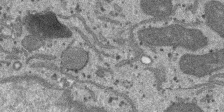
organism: Human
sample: Lung epithelial cells infected with SARS-CoV-2